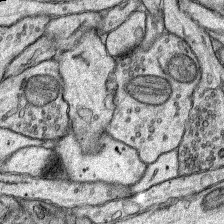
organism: Rat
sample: Hippocampus